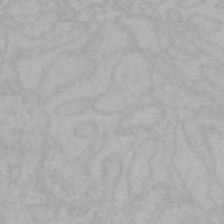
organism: Mouse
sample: Choroid plexus